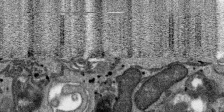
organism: Human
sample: Lung epithelial cells, uninfected (mock) control